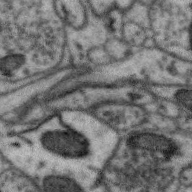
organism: Zebra finch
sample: Brain